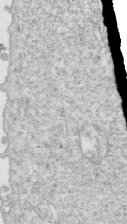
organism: Human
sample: HeLa cell HIV synapse